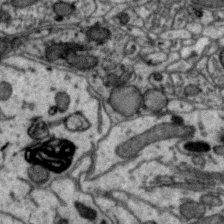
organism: Zebra finch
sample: Brain